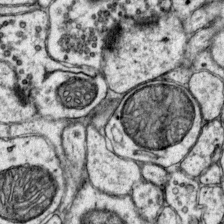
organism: Mouse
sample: Primary visual cortex